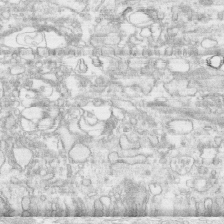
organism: Human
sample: CRL-1474